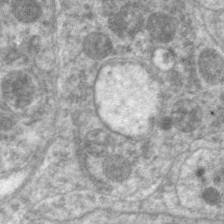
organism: C. elegans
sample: Pharynx